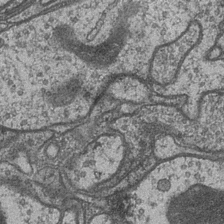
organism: Drosophila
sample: Optic medulla